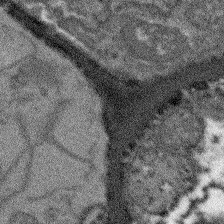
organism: Arabidopsis thaliana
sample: Root tip